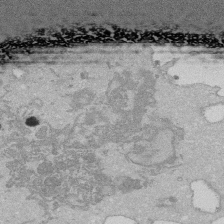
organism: Human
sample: Activated Jurkat CD4+ T cells